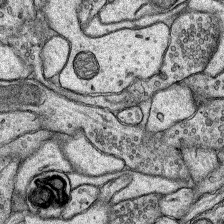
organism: Rat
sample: Hippocampus